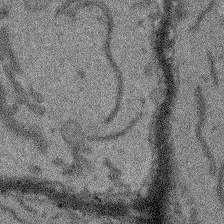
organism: Arabidopsis thaliana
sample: Root tip